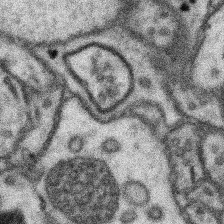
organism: Mouse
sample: Somatosensory cortex neuropil